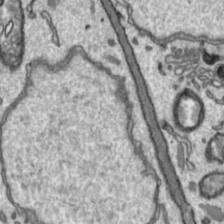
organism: Toxoplasma gondii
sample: Parasites in a vacuole inside a host cell